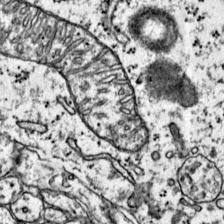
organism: Mouse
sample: Primary visual cortex